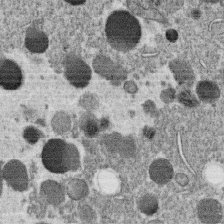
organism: C. elegans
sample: C. elegans oocyte; sperm cells